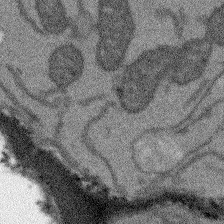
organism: Arabidopsis thaliana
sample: Root tip